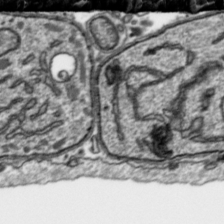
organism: Toxoplasma gondii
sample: Parasites in a vacuole inside a host cell